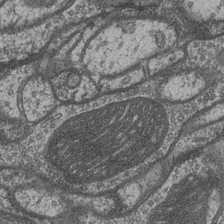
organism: Drosophila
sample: Optic medulla